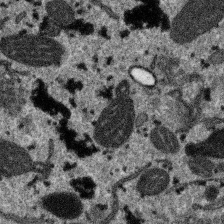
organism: Human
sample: Lung epithelial cells infected with SARS-CoV-2